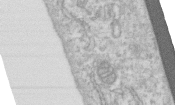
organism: Human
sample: Centriole in RPE cells